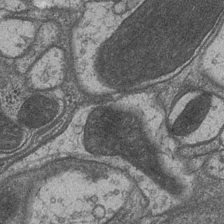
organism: Drosophila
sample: Optic medulla